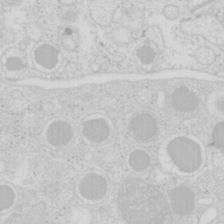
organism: Mouse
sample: Pancreas